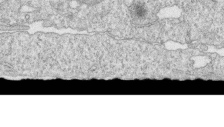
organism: Human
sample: HeLa cell HIV synapse